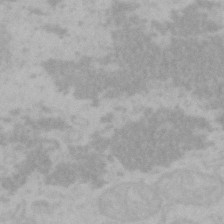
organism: Mouse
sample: Choroid plexus